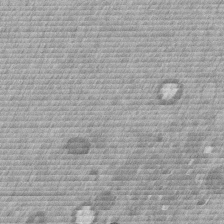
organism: Mouse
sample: Dividing mouse embryo 1 cell stage